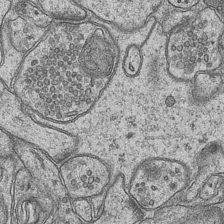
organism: Mouse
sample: CA1 Hippocampus